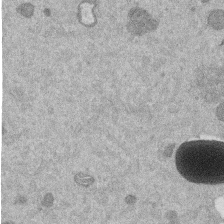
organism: Mouse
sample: Dividing mouse embryo 1 cell stage